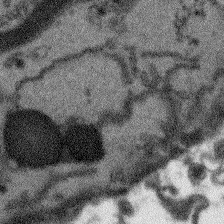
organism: Arabidopsis thaliana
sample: Root tip